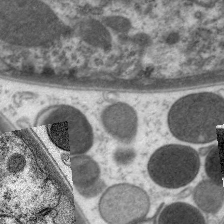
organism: C. elegans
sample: Pharynx